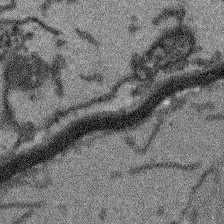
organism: Arabidopsis thaliana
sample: Root tip